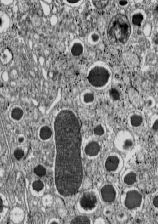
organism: C57BL Mouse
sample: Pancreatic islet